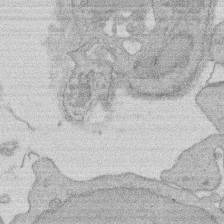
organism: Rat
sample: Salivary granule